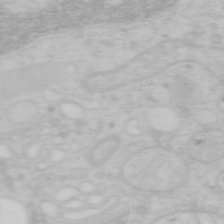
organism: Mouse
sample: OT-I killer T cells with ID8 ovarian cancer cells